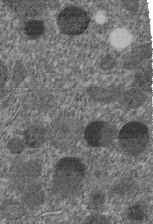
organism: C. elegans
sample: C. elegans embryo early stage